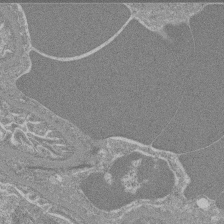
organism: Mouse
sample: Glomerulus